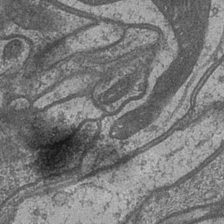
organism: Drosophila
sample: Optic medulla